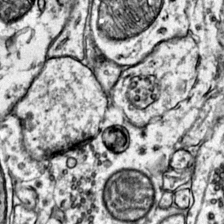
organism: Mouse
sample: Primary visual cortex